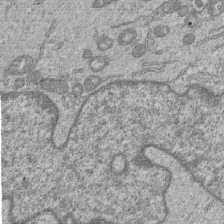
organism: Human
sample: MDA-MB-231 cells